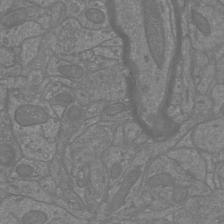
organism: Mouse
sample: Cortical neurons